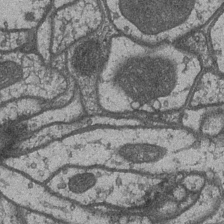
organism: Drosophila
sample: Optic medulla